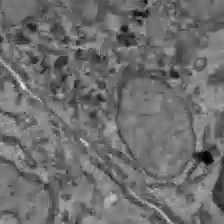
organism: C57BL Mouse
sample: Liver